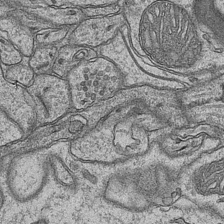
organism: Mouse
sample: CA1 Hippocampus